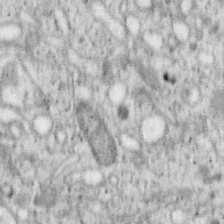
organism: Mouse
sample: OT-I killer T cells with ID8 ovarian cancer cells